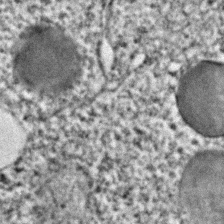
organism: C. elegans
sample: C. elegans embryo